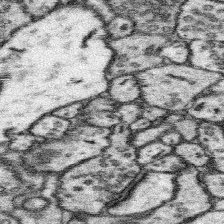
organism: Mouse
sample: Somatosensory cortex neuropil